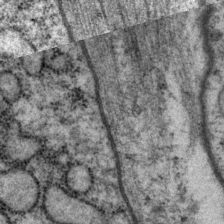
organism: P. pacificus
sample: Pharynx